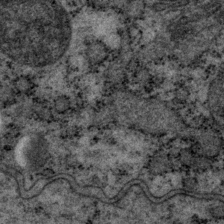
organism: P. pacificus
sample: Pharynx